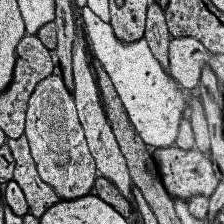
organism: Human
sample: Temporal Lobe